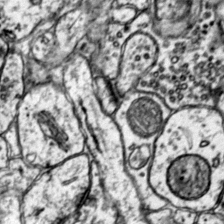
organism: Mouse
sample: Primary visual cortex